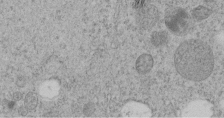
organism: C. elegans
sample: C. elegans embryo early stage